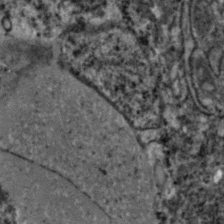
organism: Zebrafish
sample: Zebrafish embryo